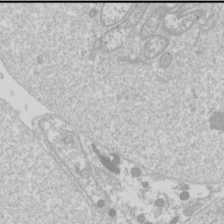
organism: Drosophila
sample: Cell division; meiosis; drosophila spermatocytes